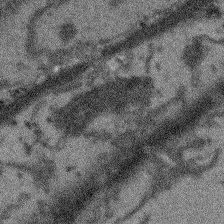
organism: Arabidopsis thaliana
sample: Root tip